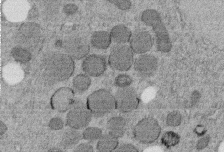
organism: C. elegans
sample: C. elegans embryo early stage